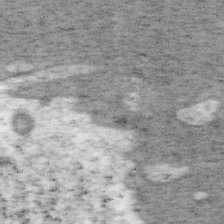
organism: Mouse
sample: OT-I killer T cells with ID8 ovarian cancer cells